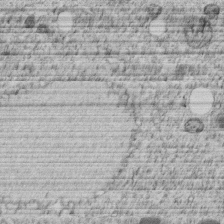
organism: C. elegans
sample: C. elegans embryo early stage